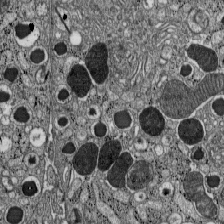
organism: C57BL Mouse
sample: Pancreatic islet